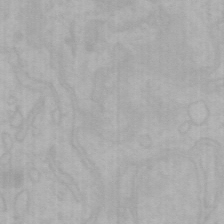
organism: Mouse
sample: Choroid plexus